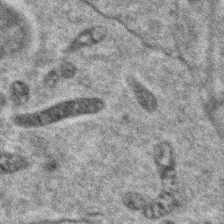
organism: Zebrafish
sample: Zebrafish embryo